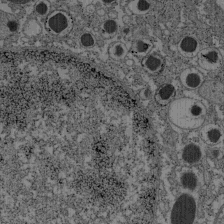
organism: C57BL Mouse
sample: Pancreatic islet